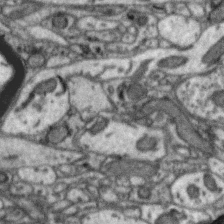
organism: Zebra finch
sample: Brain